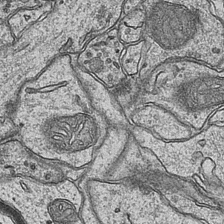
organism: Mouse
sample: CA1 Hippocampus